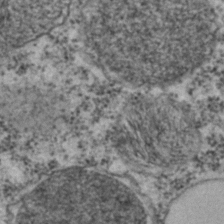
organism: C. elegans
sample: C. elegans embryo